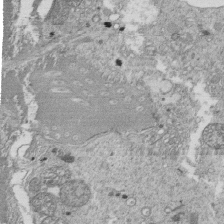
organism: Tetrahymena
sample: Cilia in tetrahymena